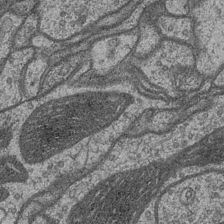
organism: Drosophila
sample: Optic medulla